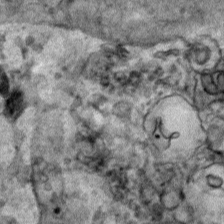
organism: Human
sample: Mitochondria in HCT116 cells